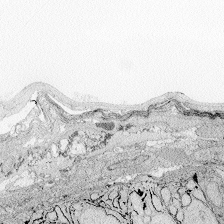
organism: Zebrafish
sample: Whole-Brain